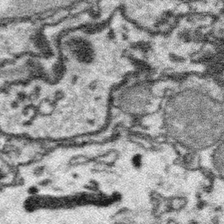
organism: Platynereis dumerilii